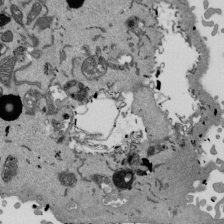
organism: Mouse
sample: ED-1 cell nuclei; centrioles